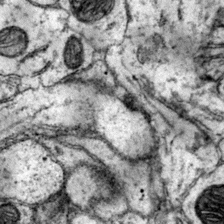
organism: Mouse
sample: Primary visual cortex